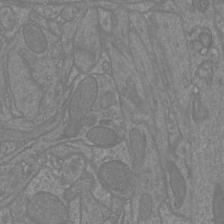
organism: Mouse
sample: Cortical neurons